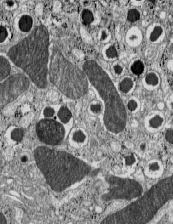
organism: C57BL Mouse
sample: Pancreatic islet